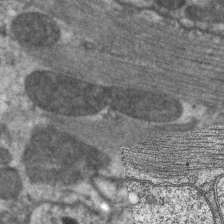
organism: C. elegans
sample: Pharynx